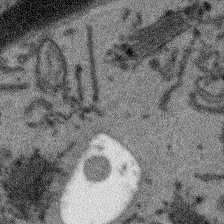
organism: Arabidopsis thaliana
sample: Root tip